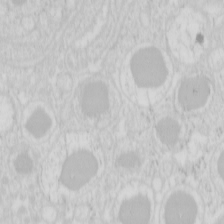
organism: Mouse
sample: Pancreas